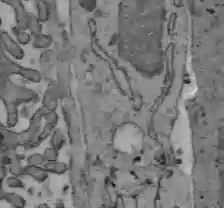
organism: C57BL Mouse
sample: Liver